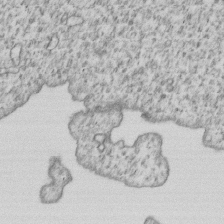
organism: Human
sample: MDA-MB-231 cells